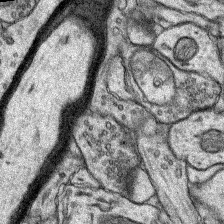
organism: Rat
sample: Hippocampus